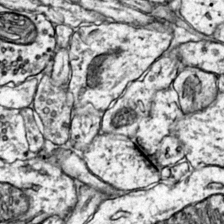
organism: Mouse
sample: Primary visual cortex